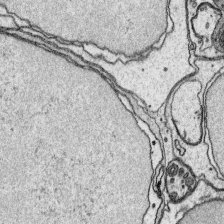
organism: Platynereis dumerilii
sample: Parapodia